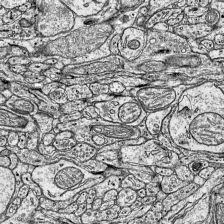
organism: Mouse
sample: Visual Cortex